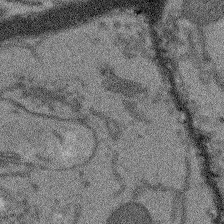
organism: Arabidopsis thaliana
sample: Root tip